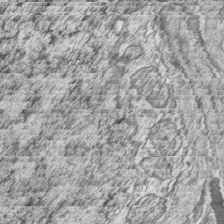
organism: Zebrafish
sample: synaptic ribbons in rod cells and cone cells